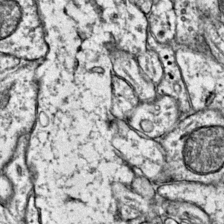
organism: Mouse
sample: Primary visual cortex